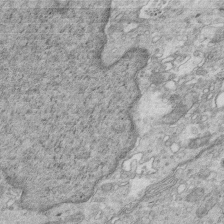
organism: Mouse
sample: Multiciliated cells